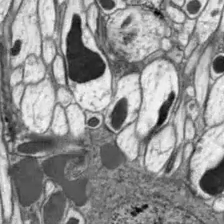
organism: Drosophila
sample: Optic lobe